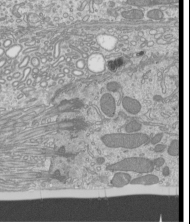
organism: Mouse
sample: Cilia; mouse epididymis